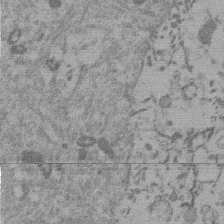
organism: Mouse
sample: Dividing mouse embryo 1 cell stage